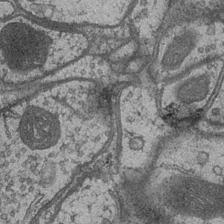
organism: Drosophila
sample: Optic medulla